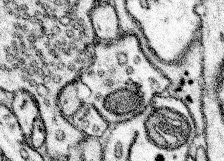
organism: Mouse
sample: Somatosensory cortex neuropil